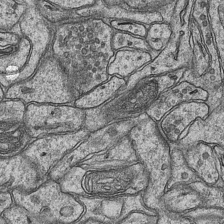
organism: Mouse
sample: CA1 Hippocampus